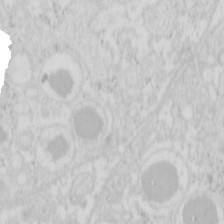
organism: Mouse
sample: Pancreas